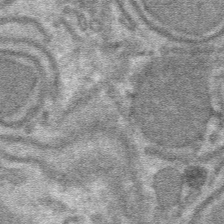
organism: Mouse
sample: Mouse hepatocytes